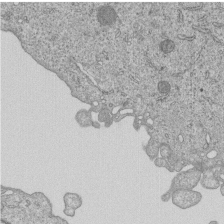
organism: Human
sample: MDA-MB-231 cells